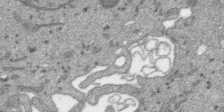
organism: Human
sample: Lung epithelial cells infected with SARS-CoV-2